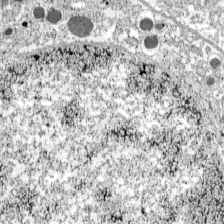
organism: C57BL Mouse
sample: Pancreatic islet